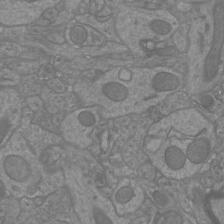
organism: Mouse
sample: Cortical neurons